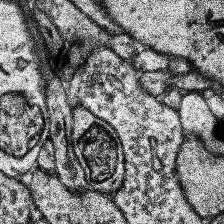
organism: Human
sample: Temporal Lobe